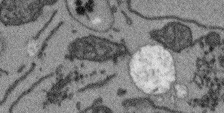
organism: Arabidopsis thaliana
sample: Root tip